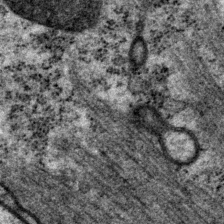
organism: P. pacificus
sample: Pharynx